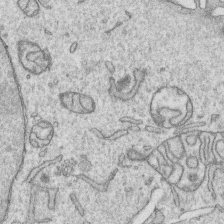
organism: Human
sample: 1205lu cells